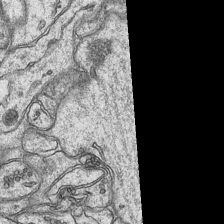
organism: Mouse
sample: CA1 Hippocampus